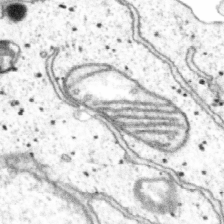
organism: Human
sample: HeLa cells